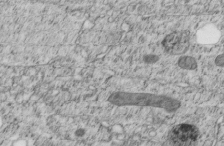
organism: C. elegans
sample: C. elegans embryo early stage